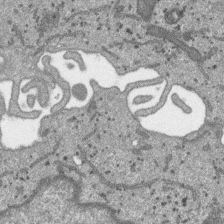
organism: Human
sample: Lung epithelial cells infected with SARS-CoV-2